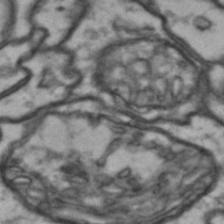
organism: Drosophila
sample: Brain